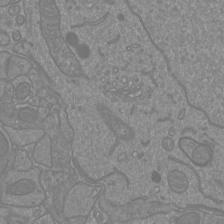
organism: Mouse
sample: Cortical neurons